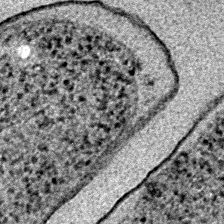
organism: E. coli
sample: E. Coli Bacteria